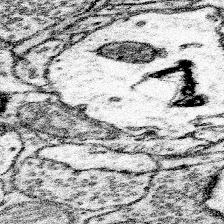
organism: Mouse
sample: Somatosensory cortex neuropil